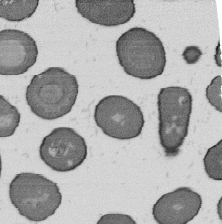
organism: B. subtilis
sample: Bacterial spore